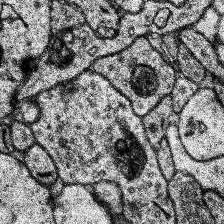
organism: Human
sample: Temporal Lobe